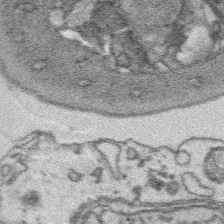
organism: Platynereis dumerilii